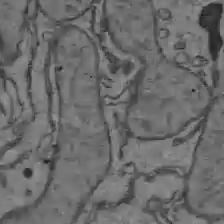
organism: C57BL Mouse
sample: Liver